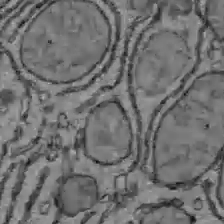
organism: C57BL Mouse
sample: Liver